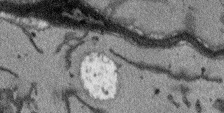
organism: Arabidopsis thaliana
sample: Root tip